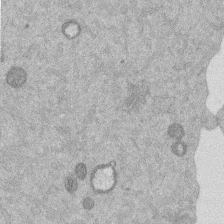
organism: Mouse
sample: Dividing mouse embryo 1 cell stage